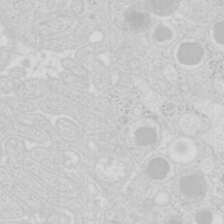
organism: Mouse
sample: Pancreas